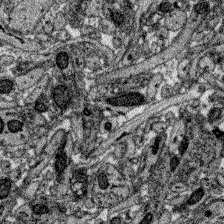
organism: Zebrafish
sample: Larval olfactory bulb